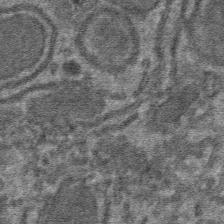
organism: Mouse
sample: Mouse hepatocytes